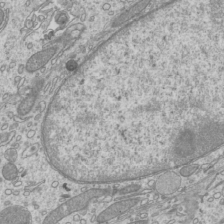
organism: Mouse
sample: Cilia; mouse epididymis